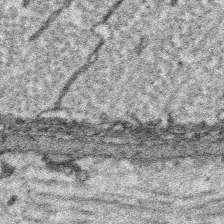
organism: Platynereis dumerilii